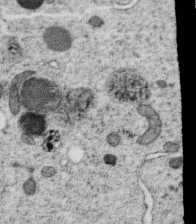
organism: C. elegans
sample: C. elegans oocyte; sperm cells